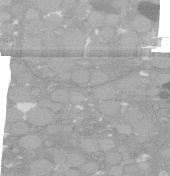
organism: C. elegans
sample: C. elegans oocyte; sperm cells